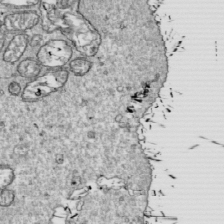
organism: Drosophila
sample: Cell division; meiosis; drosophila spermatocytes